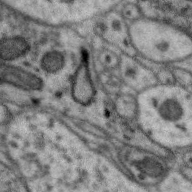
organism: Zebra finch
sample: Brain